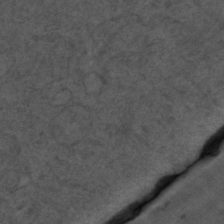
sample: Trachea